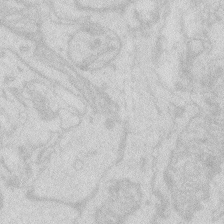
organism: Zebrafish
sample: Macrophage